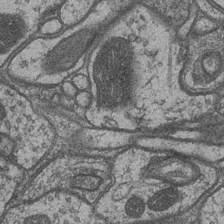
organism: Drosophila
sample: Optic medulla